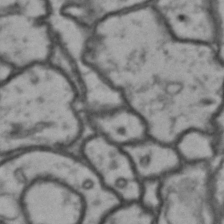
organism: Drosophila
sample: Brain